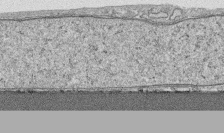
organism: Human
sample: CRL-1474